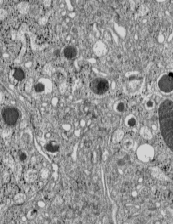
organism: C57BL Mouse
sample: Pancreatic islet